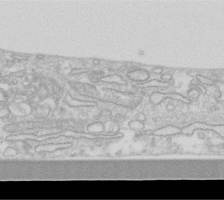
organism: Human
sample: Fibroblast cells